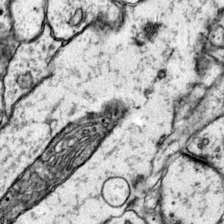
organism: Mouse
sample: Primary visual cortex